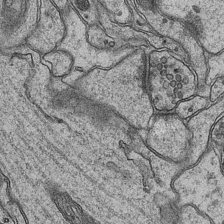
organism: Mouse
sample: CA1 Hippocampus